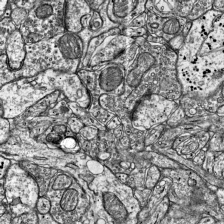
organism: Mouse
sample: Visual Cortex